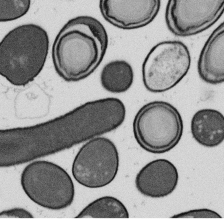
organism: B. subtilis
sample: Bacterial spore